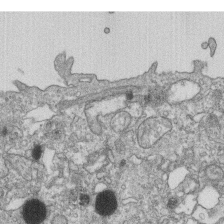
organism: Human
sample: HeLa cell HIV synapse